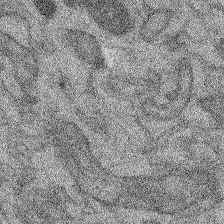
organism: Human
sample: HeLa cells